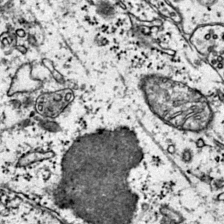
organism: Mouse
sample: Primary visual cortex